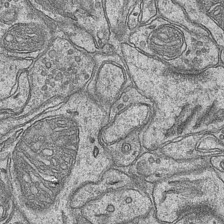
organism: Mouse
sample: CA1 Hippocampus